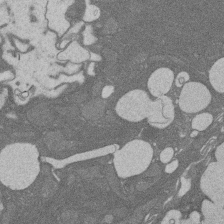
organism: Rat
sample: Salivary granule